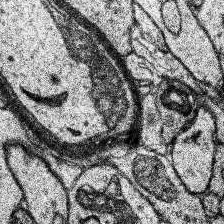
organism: Human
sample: Temporal Lobe